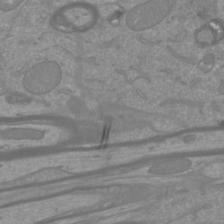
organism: Mouse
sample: Cortical neurons